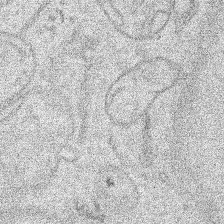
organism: Human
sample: Mitochondria in HCT116 cells